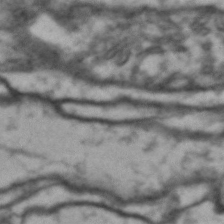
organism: Drosophila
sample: Brain